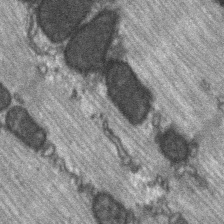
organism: C57BL Mouse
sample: Soleus